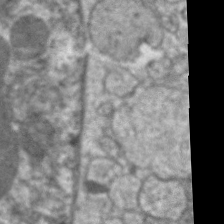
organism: C. elegans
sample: Pharynx